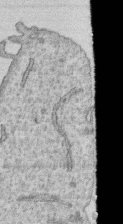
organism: Human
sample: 1205lu cells